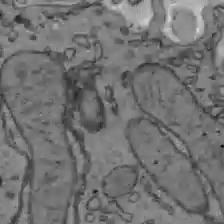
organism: C57BL Mouse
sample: Liver